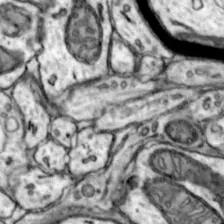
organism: Mouse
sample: Nucleus accumbens